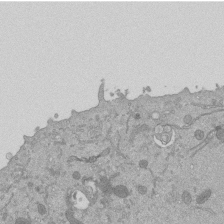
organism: Mouse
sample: ED-1 cell nuclei; centrioles